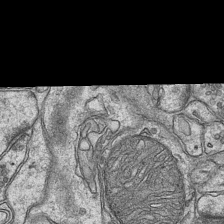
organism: Mouse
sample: CA1 Hippocampus